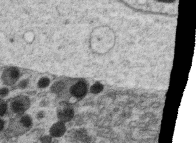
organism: C. elegans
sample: C. elegans oocyte; sperm cells